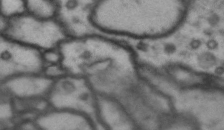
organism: Drosophila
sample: Brain